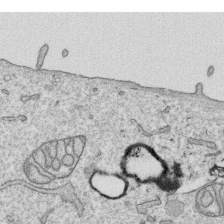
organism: Human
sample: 1205lu cells